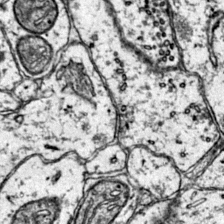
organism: Mouse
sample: Primary visual cortex